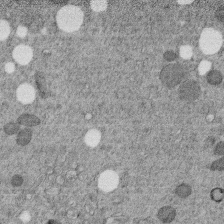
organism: C. elegans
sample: C. elegans embryo early stage